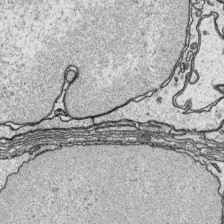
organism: Platynereis dumerilii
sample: Parapodia